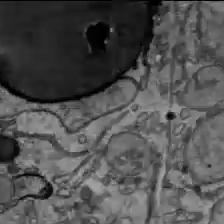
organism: C57BL Mouse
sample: Liver